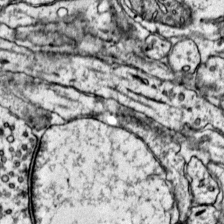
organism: Mouse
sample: Primary visual cortex